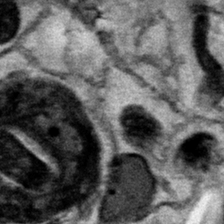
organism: Human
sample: Mitochondria in HCT116 cells